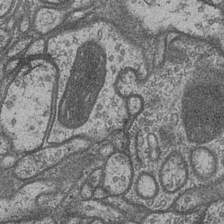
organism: Drosophila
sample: Optic medulla